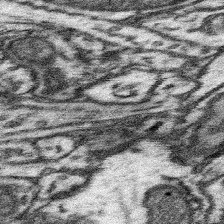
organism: Mouse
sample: Somatosensory cortex neuropil